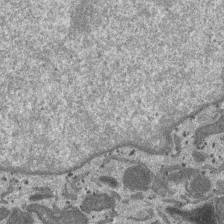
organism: Human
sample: Lung epithelial cells infected with SARS-CoV-2